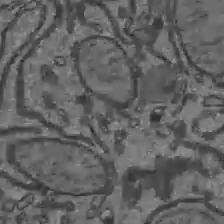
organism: C57BL Mouse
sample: Liver